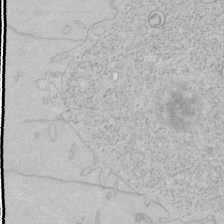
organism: Human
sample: Mitochondria in HCT116 cells